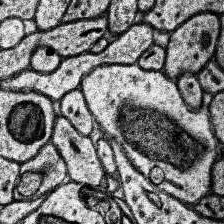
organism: Human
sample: Temporal Lobe